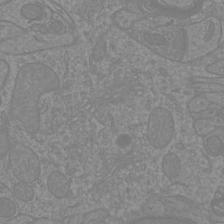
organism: Mouse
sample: Cortical neurons